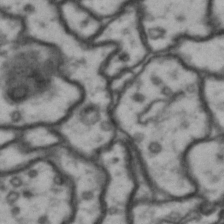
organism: Drosophila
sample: Brain